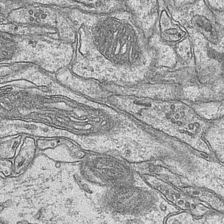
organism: Mouse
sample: CA1 Hippocampus